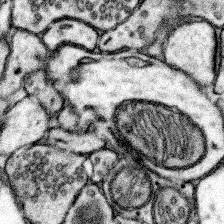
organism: Mouse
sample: Somatosensory cortex neuropil